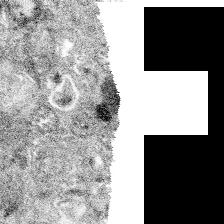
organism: Spongilla lacustris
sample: Multiple